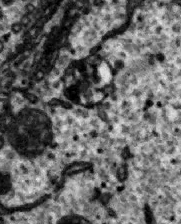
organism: Human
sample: HeLa cells